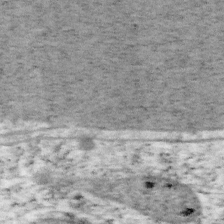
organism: Mouse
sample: OT-I killer T cells with ID8 ovarian cancer cells